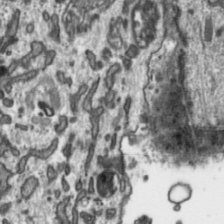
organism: Toxoplasma gondii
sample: Parasites in a vacuole inside a host cell